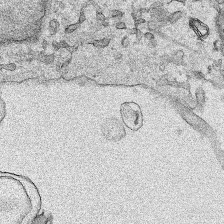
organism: Human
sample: Mitochondria in HCT116 cells